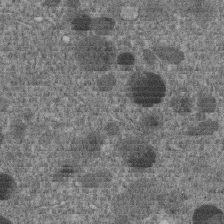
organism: C. elegans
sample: C. elegans embryo early stage